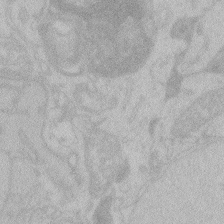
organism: Zebrafish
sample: Macrophage infected with Toxoplasma gondii